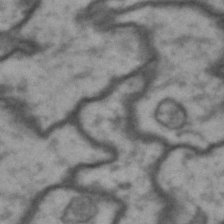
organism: Drosophila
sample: Brain